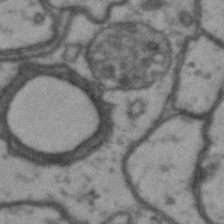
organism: Drosophila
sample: Brain